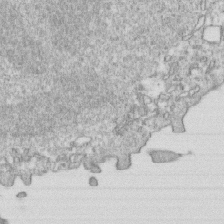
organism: Mouse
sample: Activated OT-1 CD8+ T cells